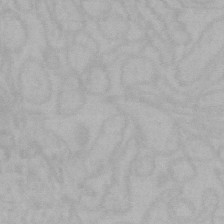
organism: Mouse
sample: Choroid plexus